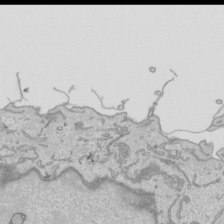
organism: Human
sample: Mitochondria in HCT116 cells